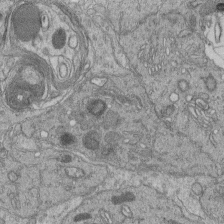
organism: Human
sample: Retinal organoid Rod and Cone cells